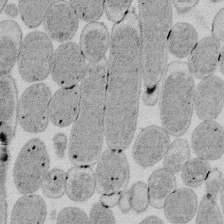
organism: E. coli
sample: Bacterial nucleoid